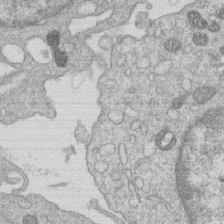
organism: Human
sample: Macrophage cells